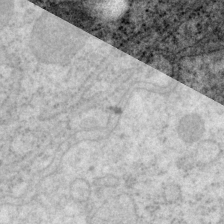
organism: P. pacificus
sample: Pharynx